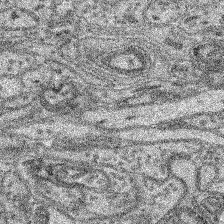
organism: Mouse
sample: Retina